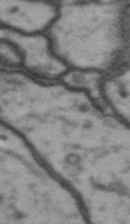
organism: Drosophila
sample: Brain